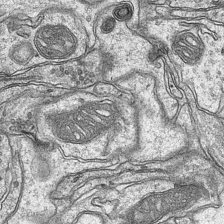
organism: Mouse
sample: CA1 Hippocampus